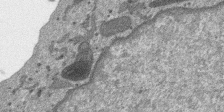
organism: Human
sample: Lung epithelial cells infected with SARS-CoV-2